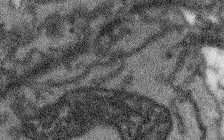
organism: Arabidopsis thaliana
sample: Root tip